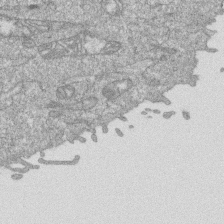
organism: Human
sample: HeLa cell HIV synapse